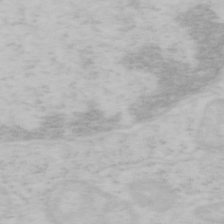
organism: Mouse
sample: OT-I killer T cells with ID8 ovarian cancer cells